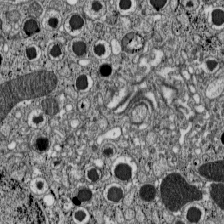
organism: C57BL Mouse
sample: Pancreatic islet